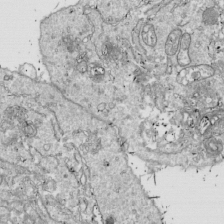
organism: Drosophila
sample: Cell division; meiosis; drosophila spermatocytes